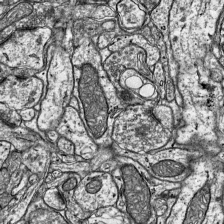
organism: Mouse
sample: Visual Cortex